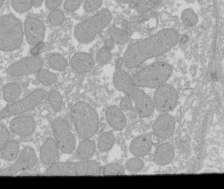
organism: Xenopus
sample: Cilia; centrioles in frog embryo cells